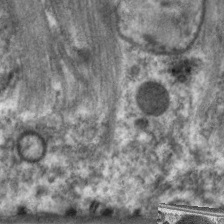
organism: C. elegans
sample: Pharynx